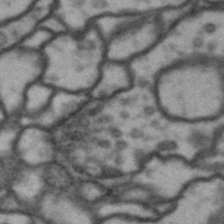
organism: Drosophila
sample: Brain